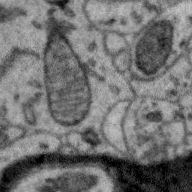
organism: Zebra finch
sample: Brain